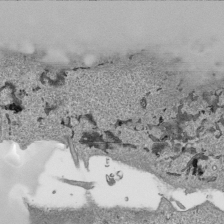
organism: Human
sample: Mitochondria in HCT116 cells